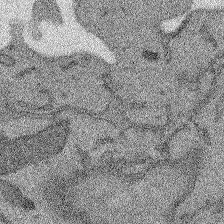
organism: Human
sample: HeLa cells